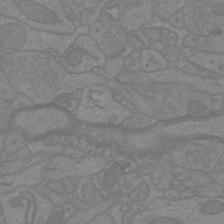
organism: Mouse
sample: Cortical neurons